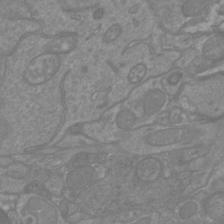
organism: Mouse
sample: Cortical neurons